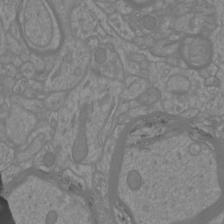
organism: Mouse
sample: Cortical neurons